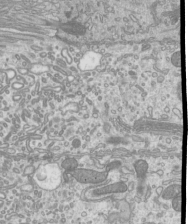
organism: Mouse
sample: Cilia; mouse epididymis